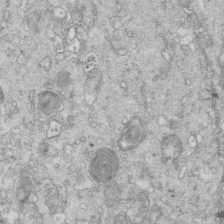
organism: Mouse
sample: Multiciliated cells